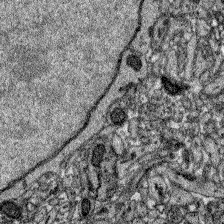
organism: Zebrafish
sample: Larval olfactory bulb